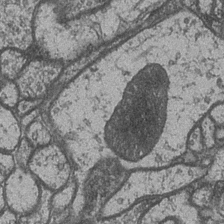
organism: Drosophila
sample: Optic medulla